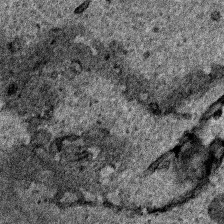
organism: Human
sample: Mitochondria in HCT116 cells